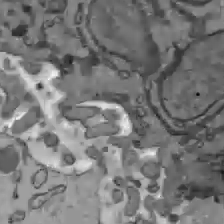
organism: C57BL Mouse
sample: Liver